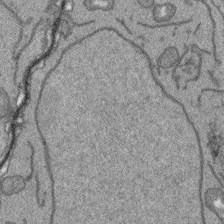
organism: Arabidopsis thaliana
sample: Root tip